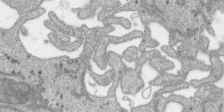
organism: Human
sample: Lung epithelial cells infected with SARS-CoV-2